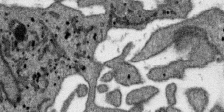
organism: Human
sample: Lung epithelial cells, uninfected (mock) control